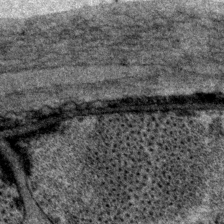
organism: P. pacificus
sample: Pharynx